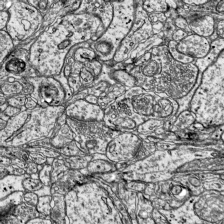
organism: Mouse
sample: Visual Cortex